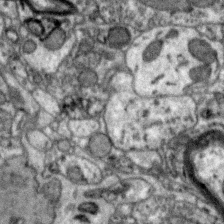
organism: Zebra finch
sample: Brain